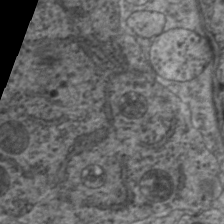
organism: C. elegans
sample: Pharynx